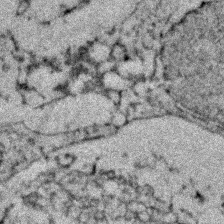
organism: Zebrafish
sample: Zebrafish embryo